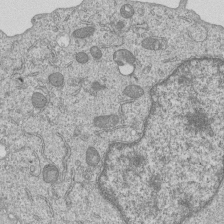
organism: Human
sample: MDA-MB-231 cells